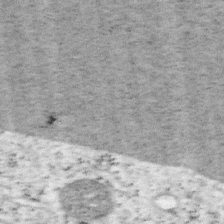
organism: Mouse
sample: OT-I killer T cells with ID8 ovarian cancer cells